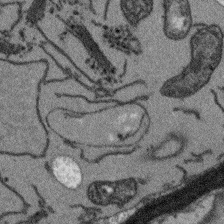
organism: Arabidopsis thaliana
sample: Root tip